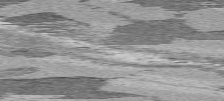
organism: C57BL Mouse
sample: Heart